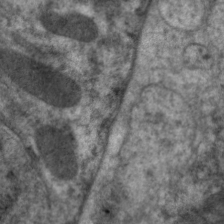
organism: C. elegans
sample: Pharynx